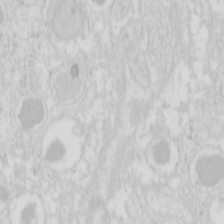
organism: Mouse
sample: Pancreas